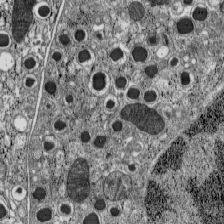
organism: C57BL Mouse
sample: Pancreatic islet